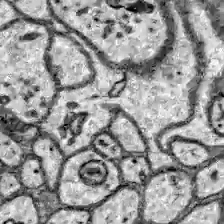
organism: Zebrafish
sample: Brain